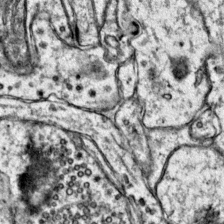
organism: Mouse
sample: Primary visual cortex